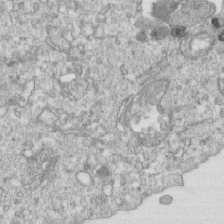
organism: Mouse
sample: Activated OT-1 CD8+ T cells